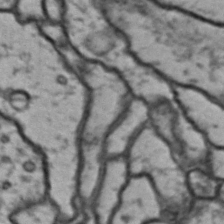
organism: Drosophila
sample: Brain